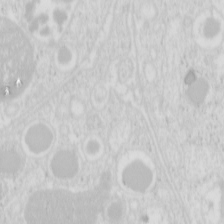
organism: Mouse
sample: Pancreas